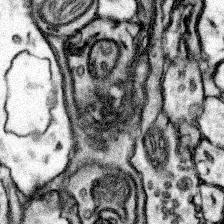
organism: Mouse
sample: Somatosensory cortex neuropil